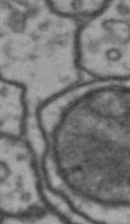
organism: Drosophila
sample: Brain